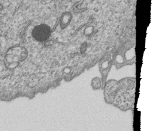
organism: Human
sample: MDA-MB-231 cells